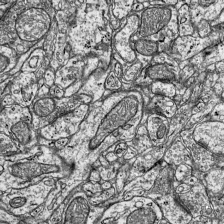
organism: Mouse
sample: Visual Cortex